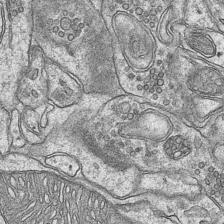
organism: Mouse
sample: CA1 Hippocampus